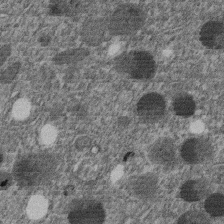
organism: C. elegans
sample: C. elegans embryo early stage